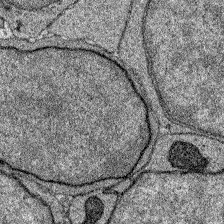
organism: Zebrafish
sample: Larval olfactory bulb